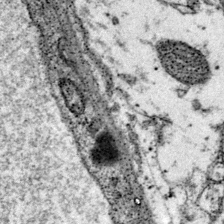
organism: Mouse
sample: Primary visual cortex